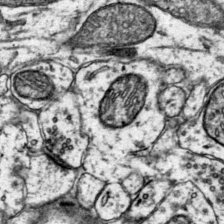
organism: Mouse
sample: Primary visual cortex